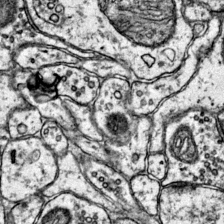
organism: Mouse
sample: Primary visual cortex